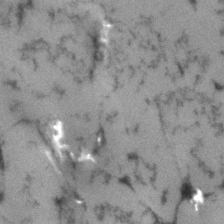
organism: Human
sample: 1205lu cells